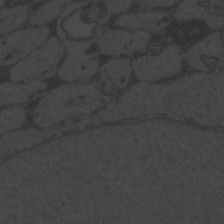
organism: Zebrafish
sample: Macrophage infected with Toxoplasma gondii